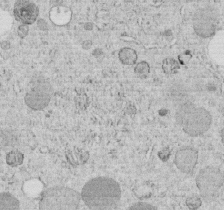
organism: C. elegans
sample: C. elegans embryo early stage